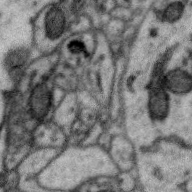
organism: Zebra finch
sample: Brain